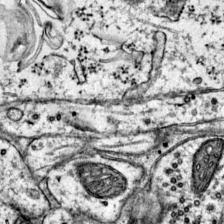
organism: Mouse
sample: Primary visual cortex